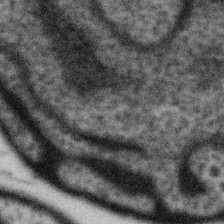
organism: Gemmata obscuriglobus